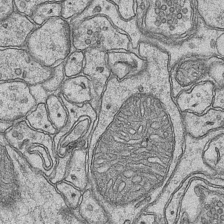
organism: Mouse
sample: CA1 Hippocampus